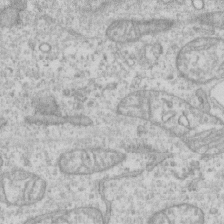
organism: Human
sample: CRL-1474